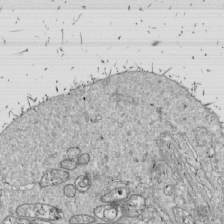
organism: Drosophila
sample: Cell division; meiosis; drosophila spermatocytes